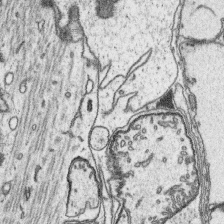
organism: Platynereis dumerilii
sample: Parapodia